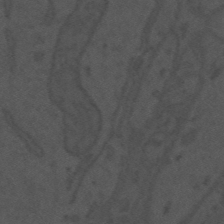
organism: Mouse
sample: Suprachiasmatic nucleus